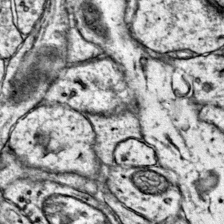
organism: Mouse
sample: Primary visual cortex